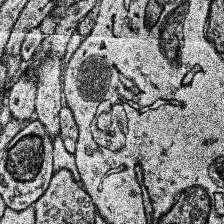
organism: Human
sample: Temporal Lobe